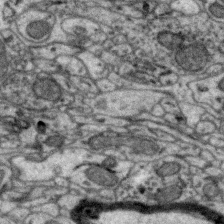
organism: Zebra finch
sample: Brain